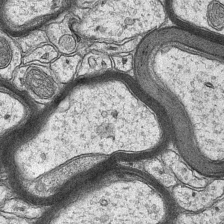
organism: Mouse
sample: CA1 Hippocampus